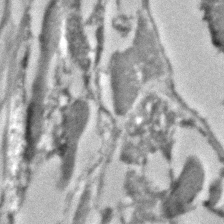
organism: C. elegans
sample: C. elegans embryo